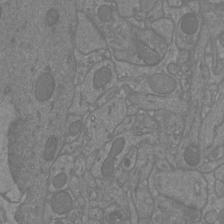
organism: Mouse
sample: Cortical neurons